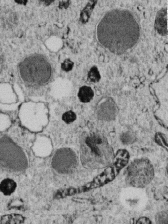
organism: C. elegans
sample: C. elegans embryo early stage